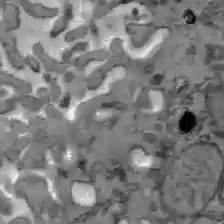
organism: C57BL Mouse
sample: Liver